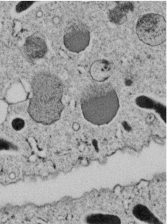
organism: C. elegans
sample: C. elegans embryo early stage